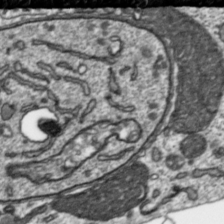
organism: Toxoplasma gondii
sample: Parasites in a vacuole inside a host cell